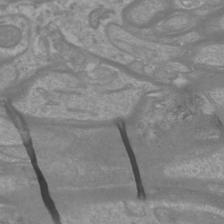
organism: Mouse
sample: Cortical neurons